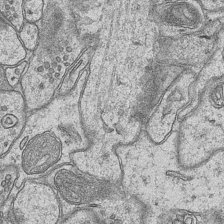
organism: Mouse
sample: CA1 Hippocampus